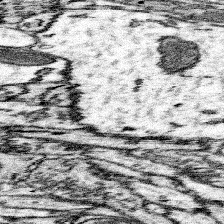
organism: Mouse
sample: Somatosensory cortex neuropil